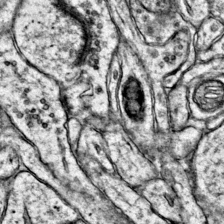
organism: Mouse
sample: Primary visual cortex